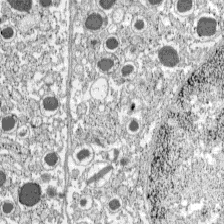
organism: C57BL Mouse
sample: Pancreatic islet